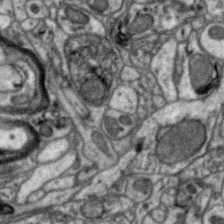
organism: Zebra finch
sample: Brain